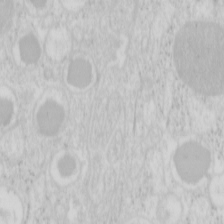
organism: Mouse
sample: Pancreas